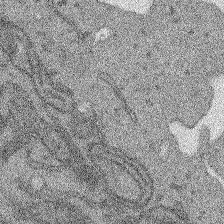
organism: Human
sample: HeLa cells